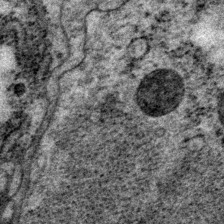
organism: P. pacificus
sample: Pharynx